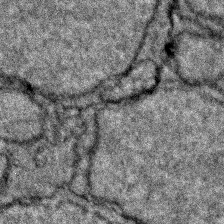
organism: Zebrafish